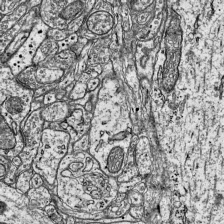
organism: Mouse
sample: Visual Cortex